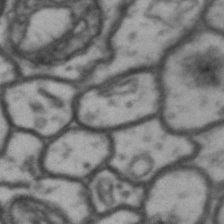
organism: Drosophila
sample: Brain